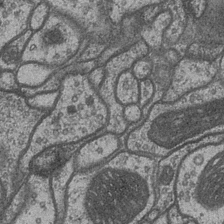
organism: Drosophila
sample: Optic medulla